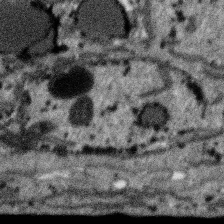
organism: Human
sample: Lung epithelial cells infected with SARS-CoV-2